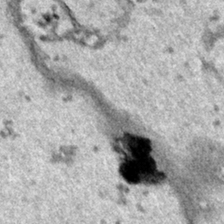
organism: Human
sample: Mitochondria in HCT116 cells